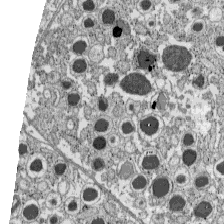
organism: C57BL Mouse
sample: Pancreatic islet